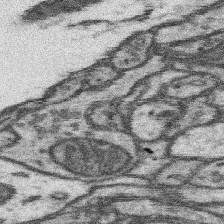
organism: Mouse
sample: Somatosensory cortex neuropil